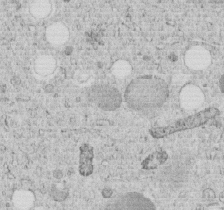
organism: C. elegans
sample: C. elegans embryo early stage